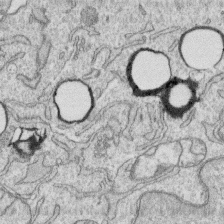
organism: Human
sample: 1205lu cells